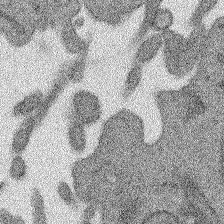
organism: Human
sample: HeLa cells